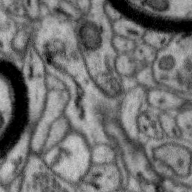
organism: Zebra finch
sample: Brain